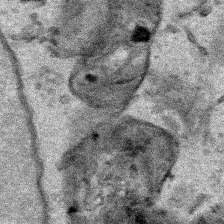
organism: Human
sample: Mitochondria in HCT116 cells